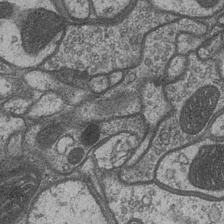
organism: Drosophila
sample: Optic medulla